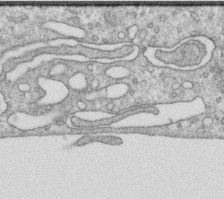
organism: Human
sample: Centriole in RPE cells